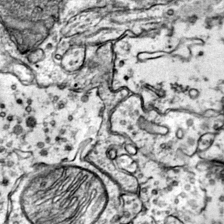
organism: Mouse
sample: Primary visual cortex